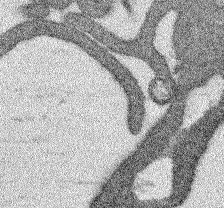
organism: Human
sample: HeLa cells